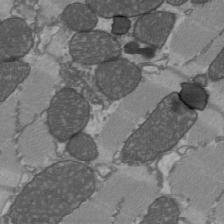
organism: C57BL Mouse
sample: Heart